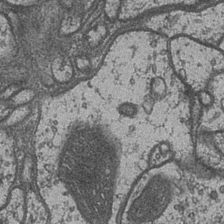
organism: Drosophila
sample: Optic medulla